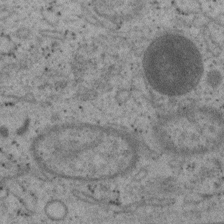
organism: Human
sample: HeLa cells